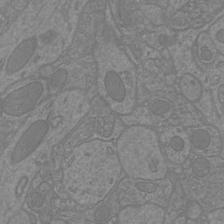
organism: Mouse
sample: Cortical neurons